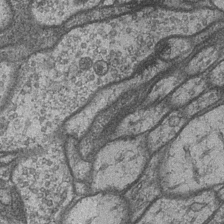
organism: Drosophila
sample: Optic medulla